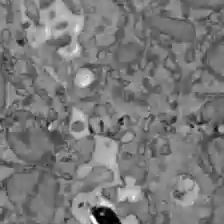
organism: C57BL Mouse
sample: Liver